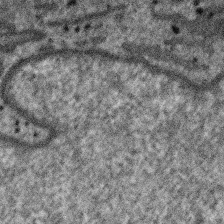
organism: Human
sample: Lung epithelial cells infected with SARS-CoV-2